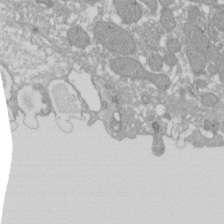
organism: Xenopus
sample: Cilia; centrioles in frog embryo cells